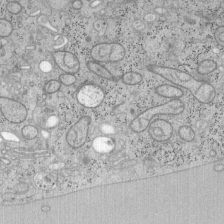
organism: Mouse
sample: OT-I killer T cells with ID8 ovarian cancer cells